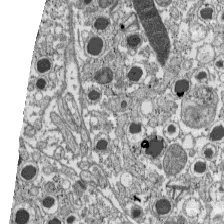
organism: C57BL Mouse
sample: Pancreatic islet